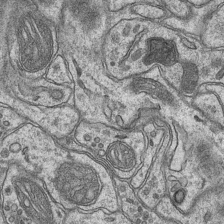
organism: Mouse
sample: CA1 Hippocampus